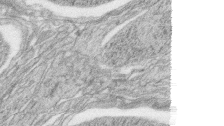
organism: Zebrafish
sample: synaptic ribbons in rod cells and cone cells